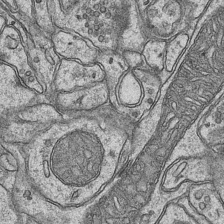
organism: Mouse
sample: CA1 Hippocampus